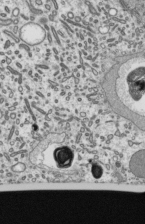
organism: Mouse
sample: Mouse epididymis efferent ductule cilia